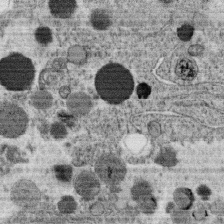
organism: C. elegans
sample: C. elegans oocyte; sperm cells